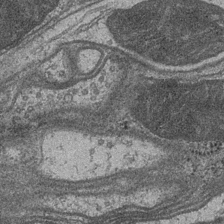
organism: Drosophila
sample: Optic medulla